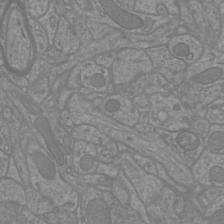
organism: Mouse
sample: Cortical neurons